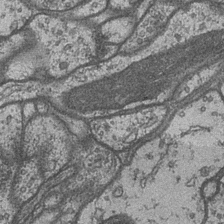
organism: Drosophila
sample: Optic medulla